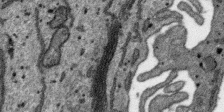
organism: Human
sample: Lung epithelial cells, uninfected (mock) control